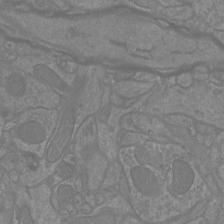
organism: Mouse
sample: Cortical neurons